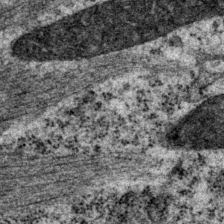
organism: P. pacificus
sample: Pharynx